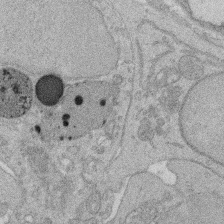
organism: Rat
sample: Salivary granule